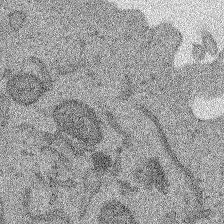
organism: Human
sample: HeLa cells